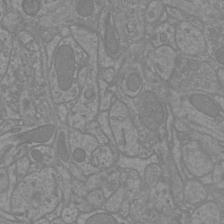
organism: Mouse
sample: Cortical neurons